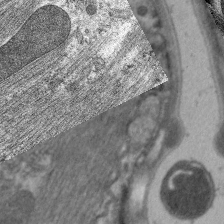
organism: C. elegans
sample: Pharynx